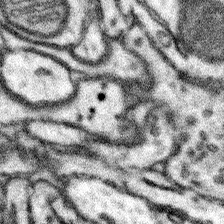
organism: Mouse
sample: Somatosensory cortex neuropil